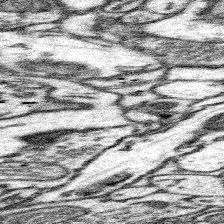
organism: Mouse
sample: Somatosensory cortex neuropil